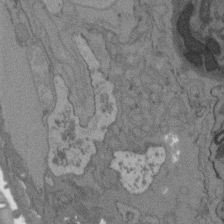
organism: C. elegans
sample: AFD neurons C. elegans